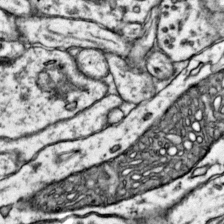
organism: Mouse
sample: Primary visual cortex